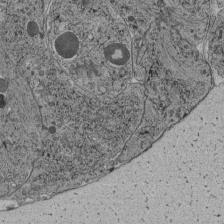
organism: C. elegans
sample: C. elegans pharynx